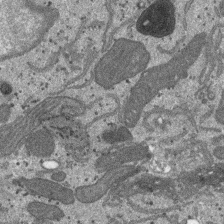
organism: Human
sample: Lung epithelial cells infected with SARS-CoV-2